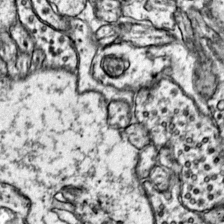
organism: Mouse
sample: Primary visual cortex